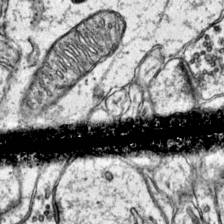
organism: Mouse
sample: Primary visual cortex